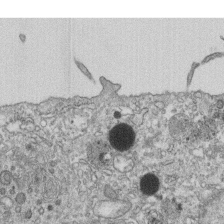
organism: Human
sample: HeLa cell HIV synapse